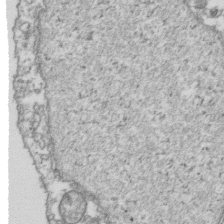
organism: Human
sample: Activated Jurkat CD4+ T cells